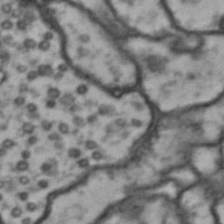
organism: Drosophila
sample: Brain